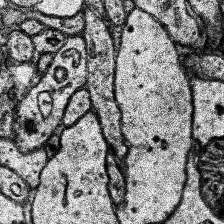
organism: Human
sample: Temporal Lobe